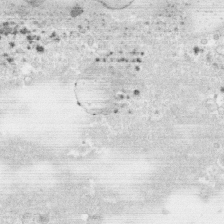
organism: Human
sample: CRL-1474